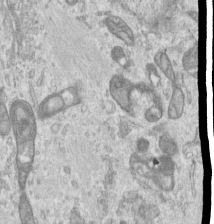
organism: Human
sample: Centriole in RPE cells